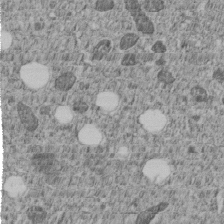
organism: C. elegans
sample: C. elegans embryo early stage